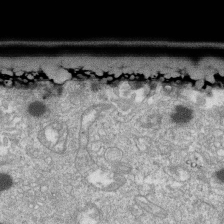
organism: Human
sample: HeLa cell HIV synapse